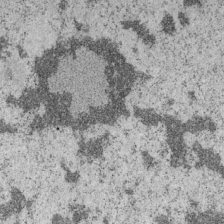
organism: Mouse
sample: OT-I killer T cells with ID8 ovarian cancer cells